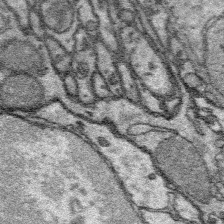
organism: Platynereis dumerilii